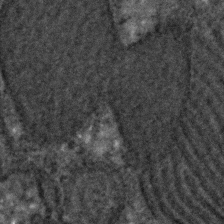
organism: C. elegans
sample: C. elegans embryo